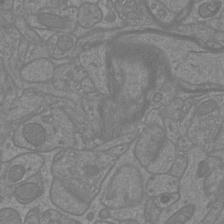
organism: Mouse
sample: Cortical neurons